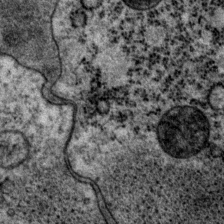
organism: P. pacificus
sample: Pharynx